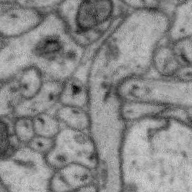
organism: Zebra finch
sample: Brain